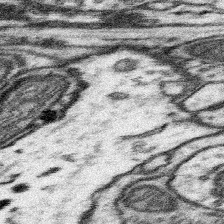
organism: Mouse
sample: Somatosensory cortex neuropil